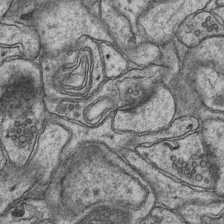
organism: Mouse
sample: CA1 Hippocampus